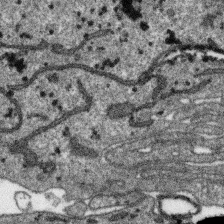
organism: Human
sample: Lung epithelial cells infected with SARS-CoV-2